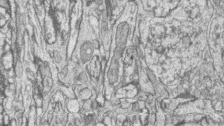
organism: Zebrafish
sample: synaptic ribbons in rod cells and cone cells